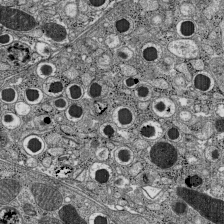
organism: C57BL Mouse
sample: Pancreatic islet